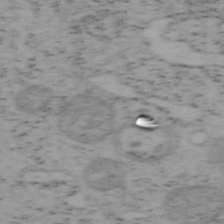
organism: Mouse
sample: OT-I killer T cells with ID8 ovarian cancer cells